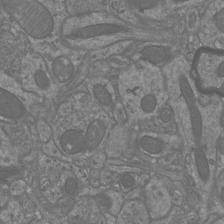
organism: Mouse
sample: Cortical neurons